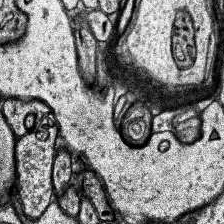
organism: Human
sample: Temporal Lobe